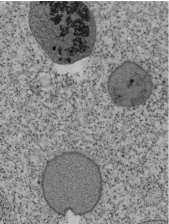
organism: Tetrahymena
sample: Cilia in tetrahymena